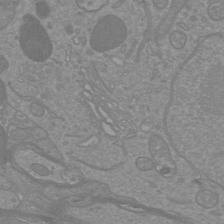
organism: Mouse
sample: Cortical neurons